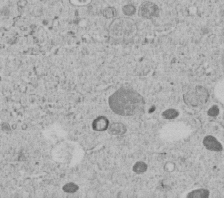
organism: C. elegans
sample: C. elegans embryo early stage